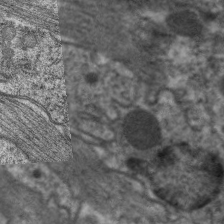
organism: C. elegans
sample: Pharynx